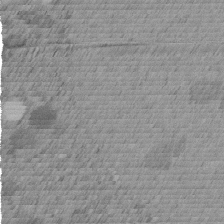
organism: C. elegans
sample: C. elegans embryo early stage